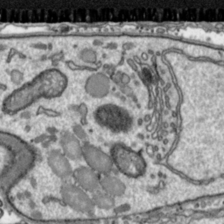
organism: Toxoplasma gondii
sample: Parasites in a vacuole inside a host cell